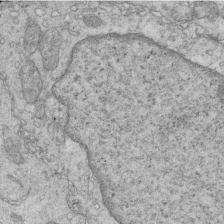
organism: Mouse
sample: Multiciliated cells